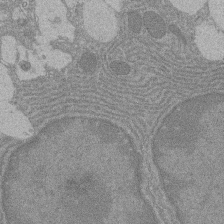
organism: Rat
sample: Salivary granule